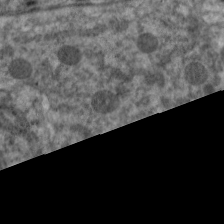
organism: C. elegans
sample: Pharynx